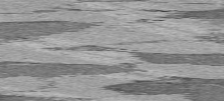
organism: C57BL Mouse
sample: Heart